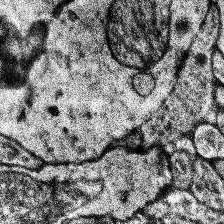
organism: Human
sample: Temporal Lobe